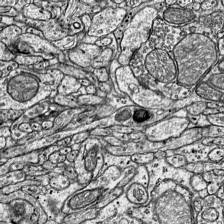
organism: Mouse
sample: Visual Cortex